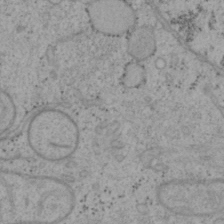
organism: Human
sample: HeLa cells